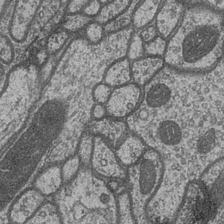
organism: Drosophila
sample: Optic medulla